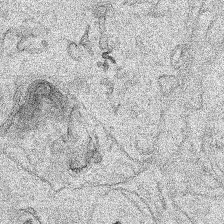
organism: Human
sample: Mitochondria in HCT116 cells